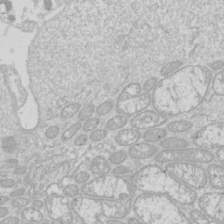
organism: Drosophila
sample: Cell division; meiosis; drosophila spermatocytes